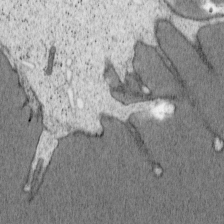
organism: African green monkey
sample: COS-7 cells